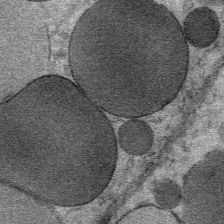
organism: Mouse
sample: Mouse Salivary gland